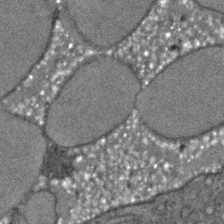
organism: C. elegans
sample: C. elegans embryo